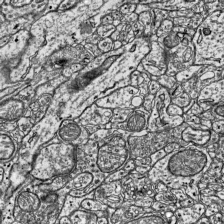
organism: Mouse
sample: Visual Cortex